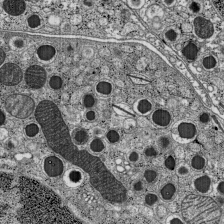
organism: C57BL Mouse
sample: Pancreatic islet